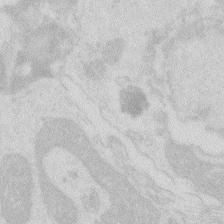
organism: Zebrafish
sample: Macrophage